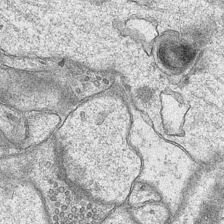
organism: Mouse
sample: CA1 Hippocampus